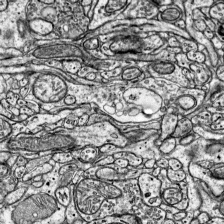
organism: Mouse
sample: Visual Cortex